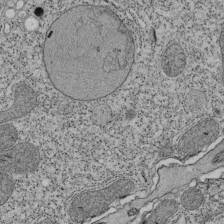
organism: Tetrahymena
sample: Cilia in tetrahymena